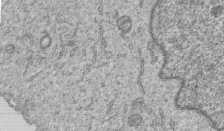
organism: Human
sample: MDA-MB-231 cells